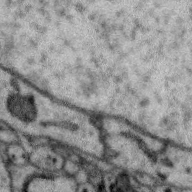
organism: Zebra finch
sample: Brain